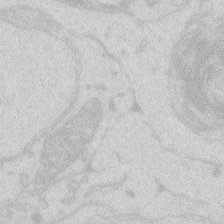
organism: Zebrafish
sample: Macrophage